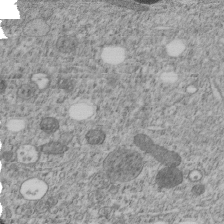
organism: C. elegans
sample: C. elegans embryo early stage